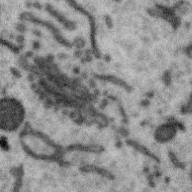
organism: Zebra finch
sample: Brain